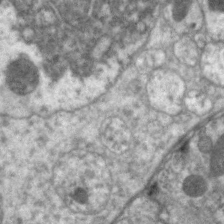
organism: C. elegans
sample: Pharynx